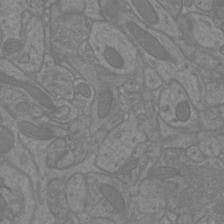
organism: Mouse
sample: Cortical neurons